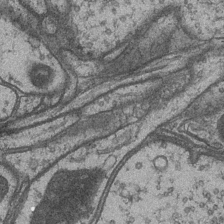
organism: Drosophila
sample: Optic medulla